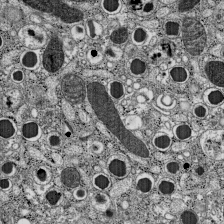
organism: C57BL Mouse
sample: Pancreatic islet